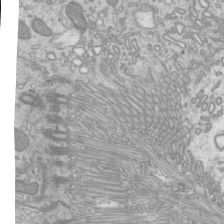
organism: Mouse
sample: Cilia; mouse epididymis